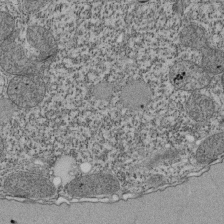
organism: Tetrahymena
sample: Cilia in tetrahymena